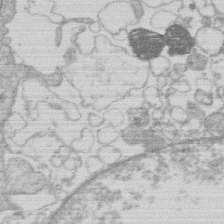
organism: Human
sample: Macrophage cells